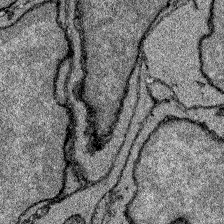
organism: Zebrafish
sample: Larval olfactory bulb